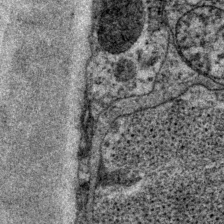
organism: P. pacificus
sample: Pharynx